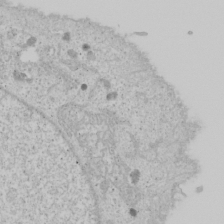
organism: Human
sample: Mitochondria in U2OS cells